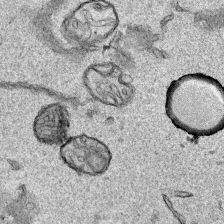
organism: Human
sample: Mitochondria in HCT116 cells